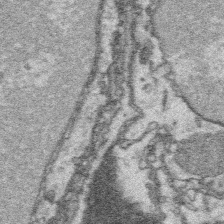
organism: Platynereis dumerilii